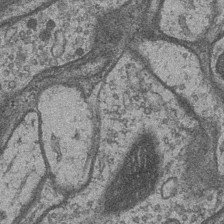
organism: Drosophila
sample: Optic medulla